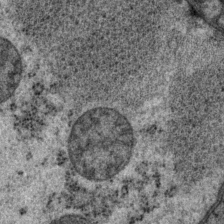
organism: P. pacificus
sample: Pharynx